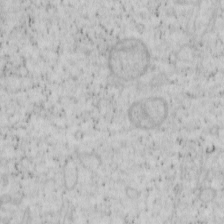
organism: Human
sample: HeLa cells